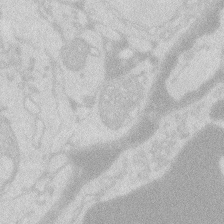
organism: Zebrafish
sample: Macrophage